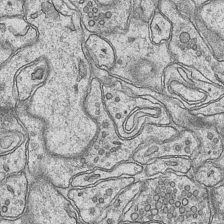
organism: Mouse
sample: CA1 Hippocampus